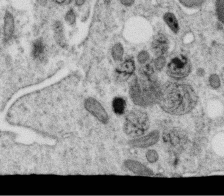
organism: C. elegans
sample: C. elegans oocyte; sperm cells